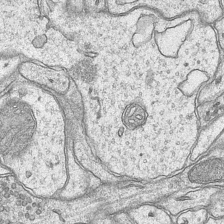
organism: Mouse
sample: CA1 Hippocampus